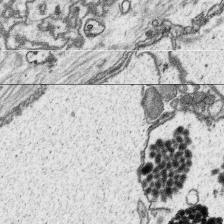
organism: Platynereis dumerilii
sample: Parapodia